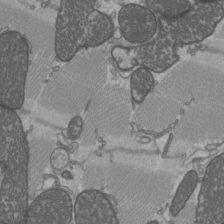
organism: C57BL Mouse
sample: Heart